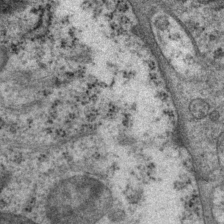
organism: P. pacificus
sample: Pharynx